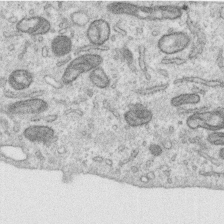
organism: Human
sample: Centriole in RPE cells